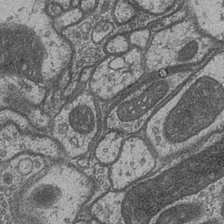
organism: Drosophila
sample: Optic medulla